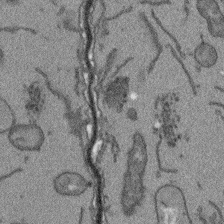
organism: Arabidopsis thaliana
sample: Root tip